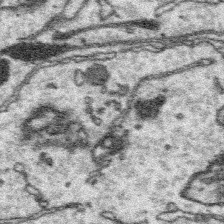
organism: Platynereis dumerilii